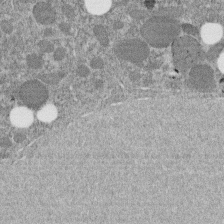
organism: C. elegans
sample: C. elegans embryo early stage